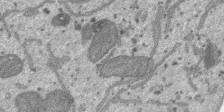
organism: Human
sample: Lung epithelial cells infected with SARS-CoV-2